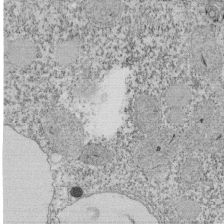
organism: Tetrahymena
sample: Cilia in tetrahymena